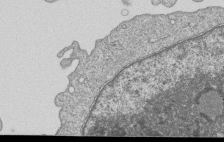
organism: Human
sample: MDA-MB-231 cells